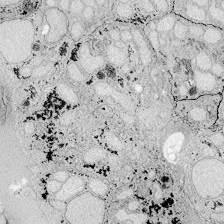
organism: Zebrafish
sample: Whole-Brain